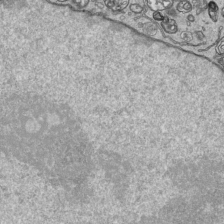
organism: Human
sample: Mitochondria in HCT116 cells